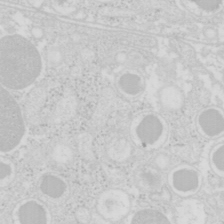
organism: Mouse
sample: Pancreas